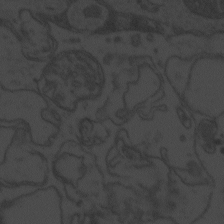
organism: Zebrafish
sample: Macrophage infected with Toxoplasma gondii